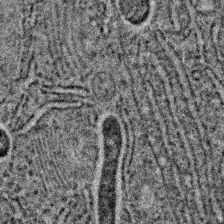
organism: C. elegans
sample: C. elegans embryo